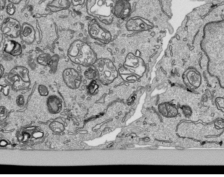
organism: Human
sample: Mitochondria in HCT116 cells